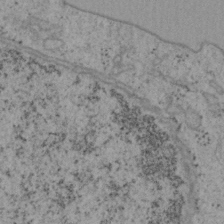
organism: Human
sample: HeLa cells